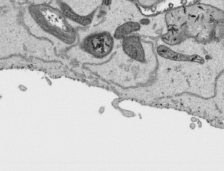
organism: Human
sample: Mitochondria in HCT116 cells